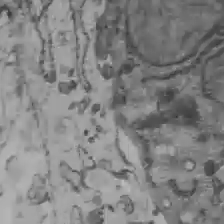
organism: C57BL Mouse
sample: Liver